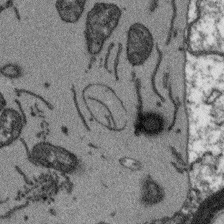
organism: Arabidopsis thaliana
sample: Root tip